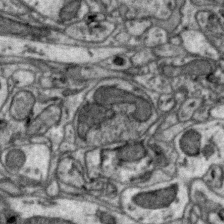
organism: Zebra finch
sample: Brain